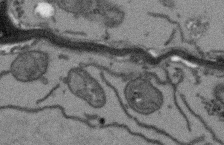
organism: Arabidopsis thaliana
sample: Root tip